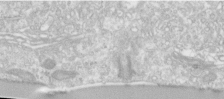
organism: Human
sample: Centriole in RPE cells